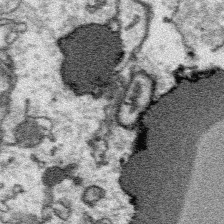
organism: Platynereis dumerilii